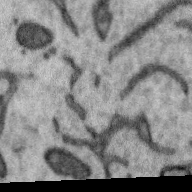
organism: Zebra finch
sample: Brain